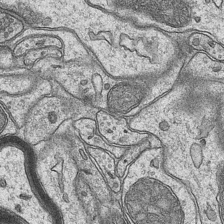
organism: Mouse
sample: CA1 Hippocampus